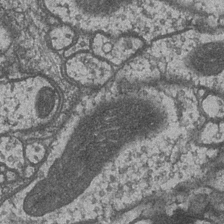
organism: Drosophila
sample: Optic medulla